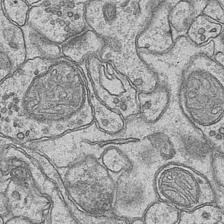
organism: Mouse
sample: CA1 Hippocampus